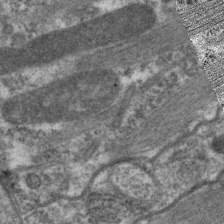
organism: C. elegans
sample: Pharynx